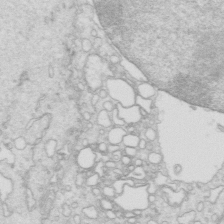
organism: Mouse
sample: Multiciliated cells